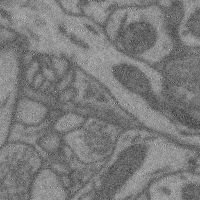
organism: Mouse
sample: Cerebral cortex